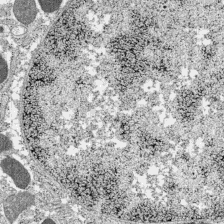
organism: C57BL Mouse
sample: Pancreatic islet